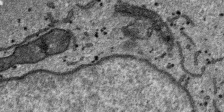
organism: Human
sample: Lung epithelial cells, uninfected (mock) control